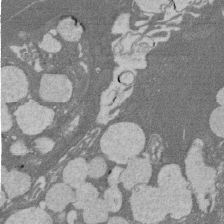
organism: Rat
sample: Salivary granule